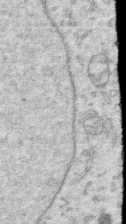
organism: Human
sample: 1205lu cells